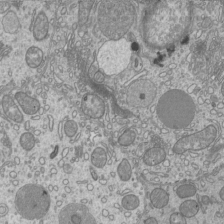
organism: Mouse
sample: Cilia; mouse epididymis